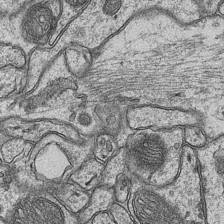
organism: Mouse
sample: CA1 Hippocampus